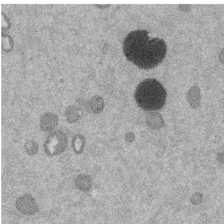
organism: Mouse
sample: Dividing mouse embryo 1 cell stage